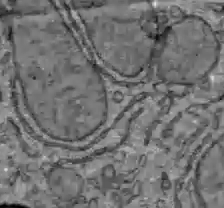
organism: C57BL Mouse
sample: Liver